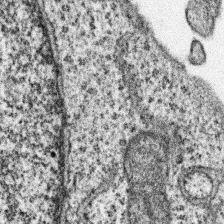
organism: Human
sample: HeLa cells